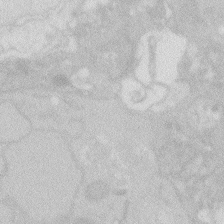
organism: Zebrafish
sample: Macrophage